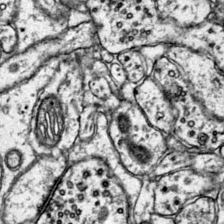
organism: Mouse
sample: Primary visual cortex